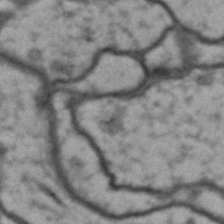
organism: Drosophila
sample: Brain